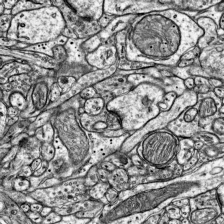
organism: Mouse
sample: Visual Cortex